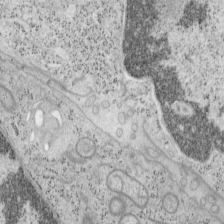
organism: Mouse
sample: OT-I killer T cells with ID8 ovarian cancer cells